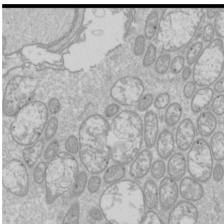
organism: Drosophila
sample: Cell division; meiosis; drosophila spermatocytes